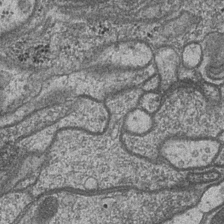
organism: Drosophila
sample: Optic medulla